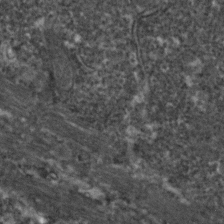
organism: Zebrafish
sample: Zebrafish embryo